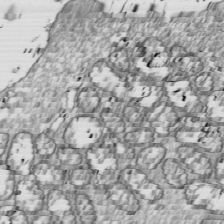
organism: Drosophila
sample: Cell division; meiosis; drosophila spermatocytes